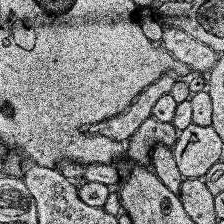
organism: Human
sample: Temporal Lobe